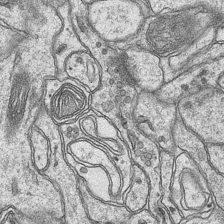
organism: Mouse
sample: CA1 Hippocampus